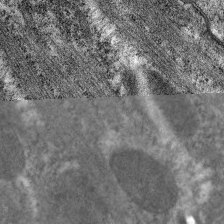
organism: C. elegans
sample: Pharynx